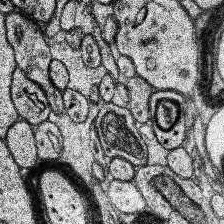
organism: Human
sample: Temporal Lobe